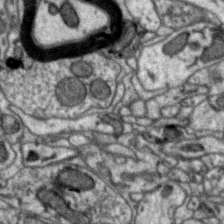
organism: Zebra finch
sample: Brain